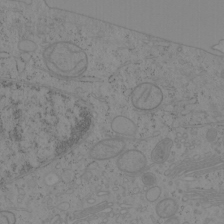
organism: Human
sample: HeLa cells